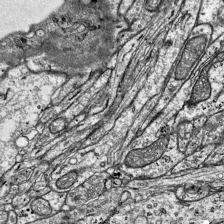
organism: Mouse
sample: Visual Cortex